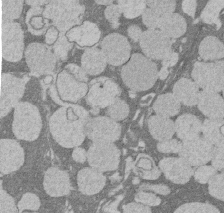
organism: Rat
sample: Salivary granule